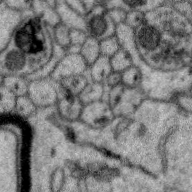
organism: Zebra finch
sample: Brain